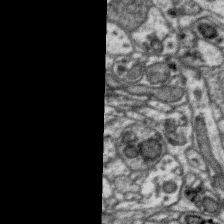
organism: Zebra finch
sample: Brain